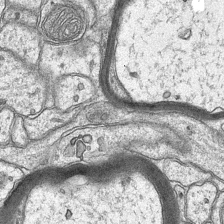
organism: Mouse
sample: CA1 Hippocampus